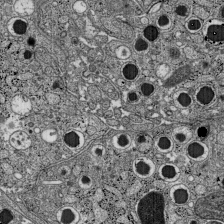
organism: C57BL Mouse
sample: Pancreatic islet